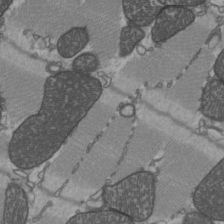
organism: C57BL Mouse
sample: Heart